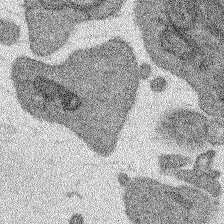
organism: Human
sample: HeLa cells